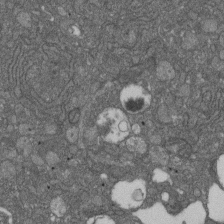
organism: Drosophila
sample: Nephrocyte